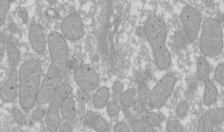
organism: Xenopus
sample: Cilia; centrioles in frog embryo cells